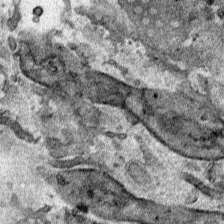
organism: Human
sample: Mitochondria in HCT116 cells